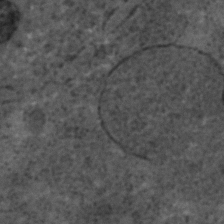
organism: C. elegans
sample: C. elegans embryo